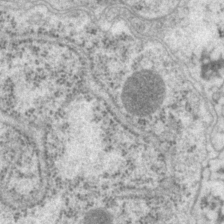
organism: P. pacificus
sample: Pharynx